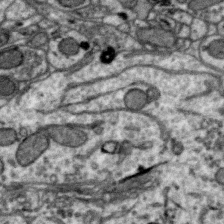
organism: Zebra finch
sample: Brain